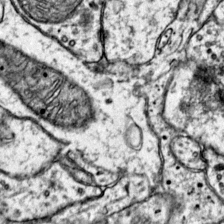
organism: Mouse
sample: Primary visual cortex